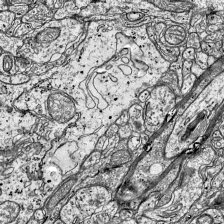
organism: Mouse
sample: Visual Cortex